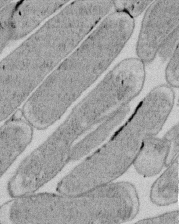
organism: E. coli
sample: Bacterial nucleoid